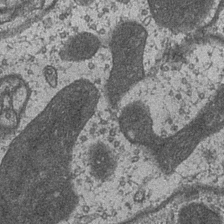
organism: Drosophila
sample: Optic medulla